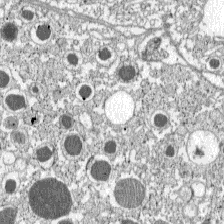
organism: C57BL Mouse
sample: Pancreatic islet